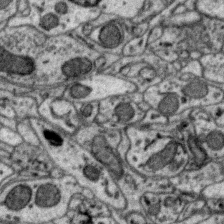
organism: Zebra finch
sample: Brain